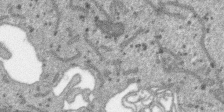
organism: Human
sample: Lung epithelial cells infected with SARS-CoV-2